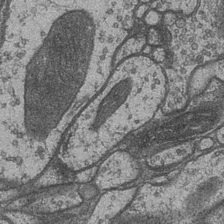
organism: Drosophila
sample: Optic medulla